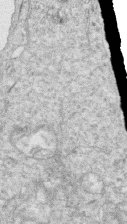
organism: Human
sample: HeLa cell HIV synapse